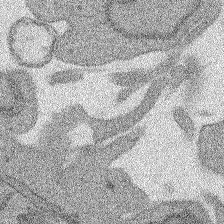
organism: Human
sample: HeLa cells